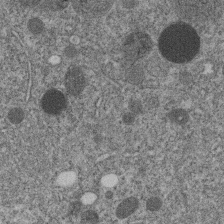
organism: C. elegans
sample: C. elegans embryo early stage